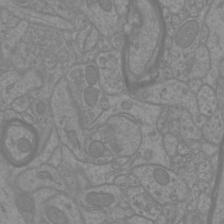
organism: Mouse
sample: Cortical neurons